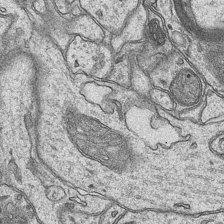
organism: Mouse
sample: CA1 Hippocampus